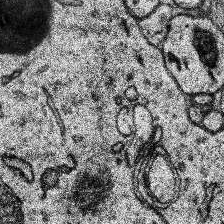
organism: Human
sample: Temporal Lobe